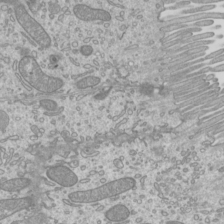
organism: Mouse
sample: Cilia; mouse epididymis